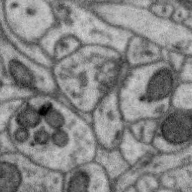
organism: Zebra finch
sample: Brain